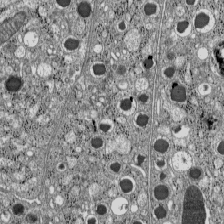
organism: C57BL Mouse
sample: Pancreatic islet